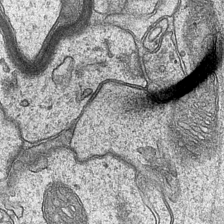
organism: Mouse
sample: CA1 Hippocampus